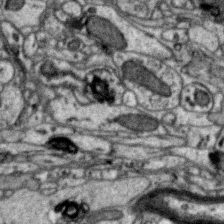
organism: Zebra finch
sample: Brain